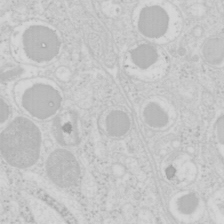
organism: Mouse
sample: Pancreas